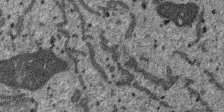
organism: Human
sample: Lung epithelial cells infected with SARS-CoV-2